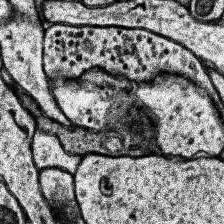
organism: Human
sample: Temporal Lobe